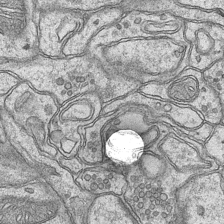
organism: Mouse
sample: CA1 Hippocampus